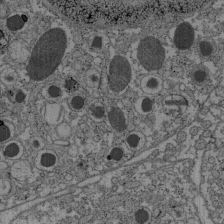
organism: C57BL Mouse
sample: Pancreatic islet